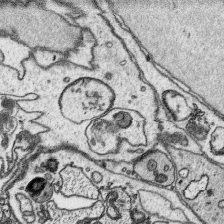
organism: Platynereis dumerilii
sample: Parapodia